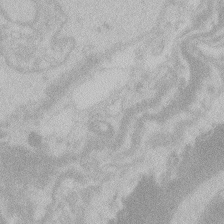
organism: Zebrafish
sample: Macrophage infected with Toxoplasma gondii